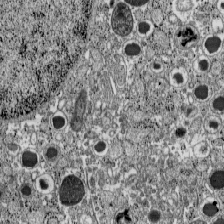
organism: C57BL Mouse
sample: Pancreatic islet